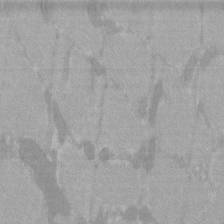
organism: C57BL Mouse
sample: Tibialis anterior muscle cell